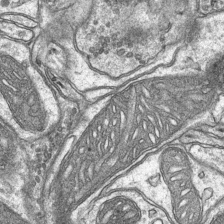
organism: Mouse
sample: CA1 Hippocampus